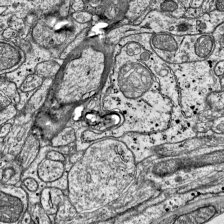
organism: Mouse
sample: Visual Cortex